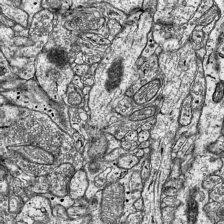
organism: Mouse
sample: Visual Cortex